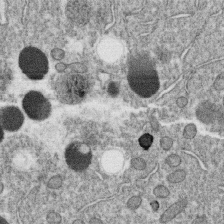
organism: C. elegans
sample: C. elegans oocyte; sperm cells